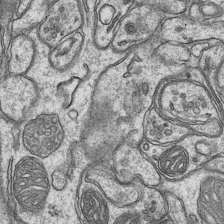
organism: Mouse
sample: CA1 Hippocampus